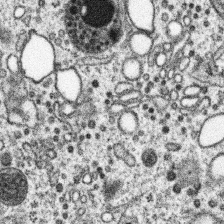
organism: Human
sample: HeLa cells